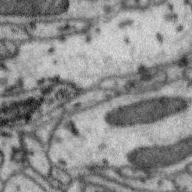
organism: Zebra finch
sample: Brain